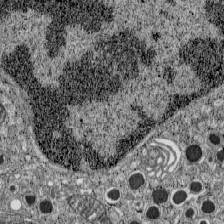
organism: C57BL Mouse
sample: Pancreatic islet